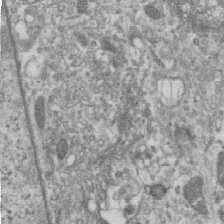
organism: Human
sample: Centriole in RPE cells